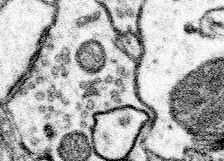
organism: Mouse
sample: Somatosensory cortex neuropil